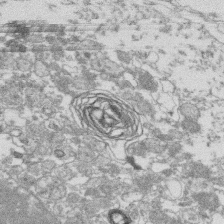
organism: Human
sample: HeLa cell HIV synapse